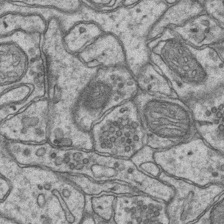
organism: Mouse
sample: CA1 Hippocampus